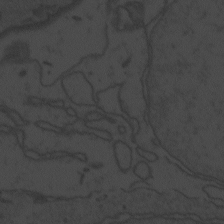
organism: Zebrafish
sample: Macrophage infected with Toxoplasma gondii